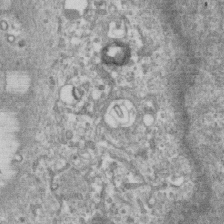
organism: Human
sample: Centriole in RPE cells